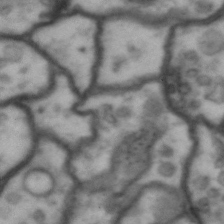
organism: Drosophila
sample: Brain